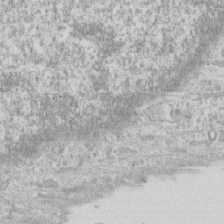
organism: Human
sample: CRL-1474